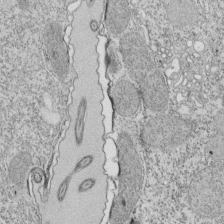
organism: Tetrahymena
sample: Cilia in tetrahymena